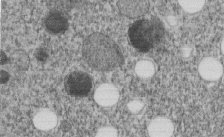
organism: C. elegans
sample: C. elegans embryo early stage